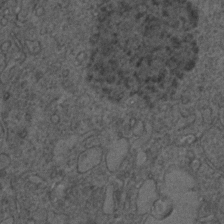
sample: Trachea